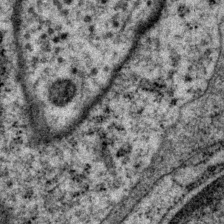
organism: P. pacificus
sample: Pharynx